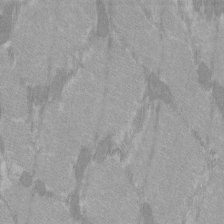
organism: C57BL Mouse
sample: Tibialis anterior muscle cell